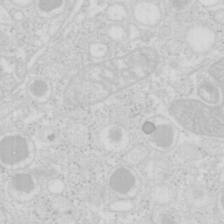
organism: Mouse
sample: Pancreas